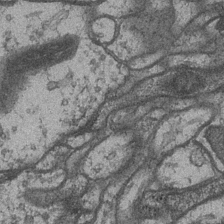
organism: Drosophila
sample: Optic medulla